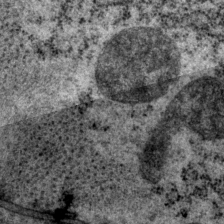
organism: P. pacificus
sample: Pharynx